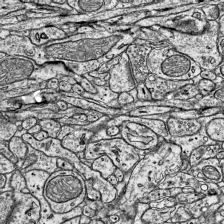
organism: Mouse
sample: Visual Cortex